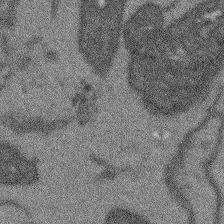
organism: Arabidopsis thaliana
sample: Root tip